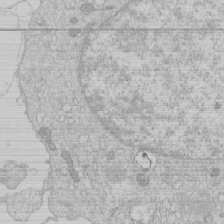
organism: Human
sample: Macrophage cells